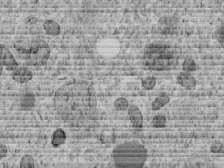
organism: C. elegans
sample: C. elegans embryo early stage